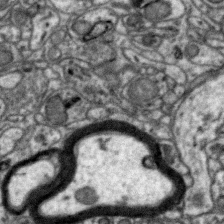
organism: Zebra finch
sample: Brain